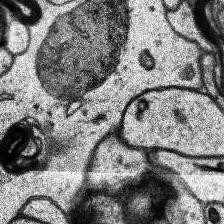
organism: Human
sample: Temporal Lobe